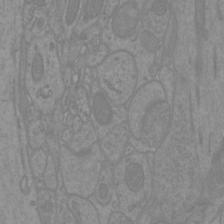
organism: Mouse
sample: Cortical neurons